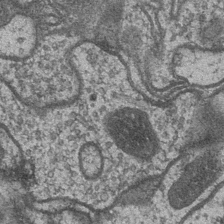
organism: Drosophila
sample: Optic medulla